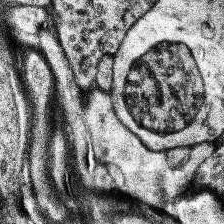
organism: Human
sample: Temporal Lobe